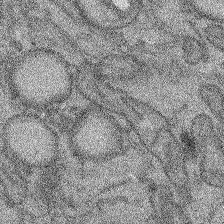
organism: Human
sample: HeLa cells